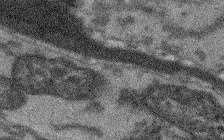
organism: Arabidopsis thaliana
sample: Root tip